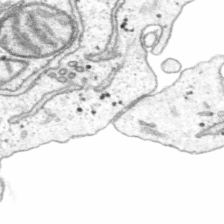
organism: Human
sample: HeLa cells